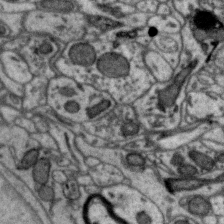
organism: Zebra finch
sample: Brain